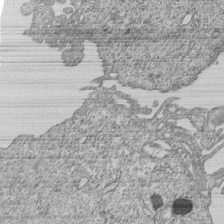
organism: Human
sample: MDA-MB-231 cells